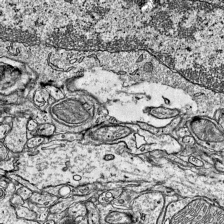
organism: Mouse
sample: Visual Cortex